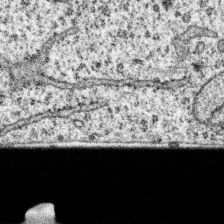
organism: Human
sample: HeLa cells